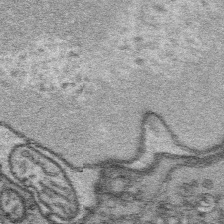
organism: Platynereis dumerilii